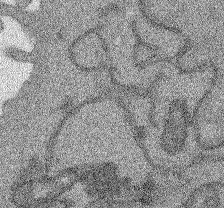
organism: Human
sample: HeLa cells